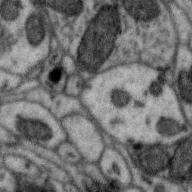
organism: Zebra finch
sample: Brain